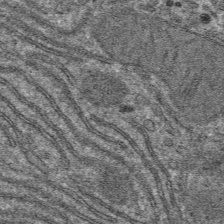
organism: Mouse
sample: Mouse hepatocytes